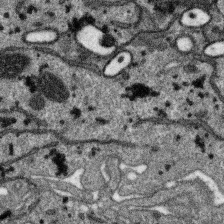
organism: Human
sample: Lung epithelial cells infected with SARS-CoV-2